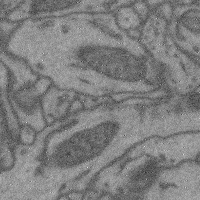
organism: Mouse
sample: Cerebral cortex